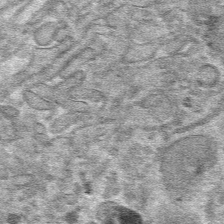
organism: Mouse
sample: Mouse hepatocytes